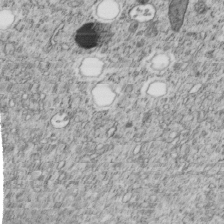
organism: C. elegans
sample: C. elegans embryo early stage